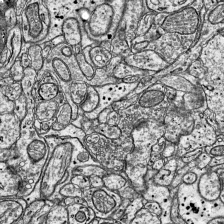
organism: Mouse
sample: Visual Cortex